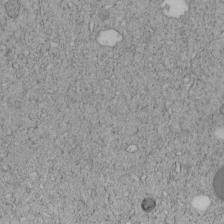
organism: C. elegans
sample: C. elegans embryo early stage